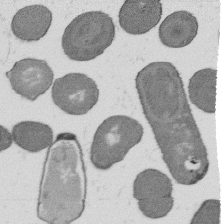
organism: B. subtilis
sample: Bacterial spore